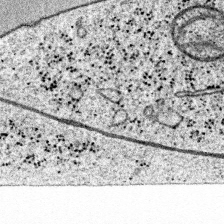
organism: Human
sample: HeLa cells